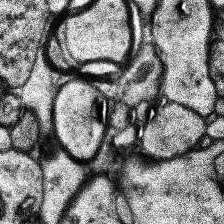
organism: Human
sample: Temporal Lobe